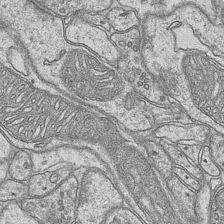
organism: Mouse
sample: CA1 Hippocampus